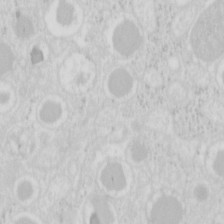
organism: Mouse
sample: Pancreas